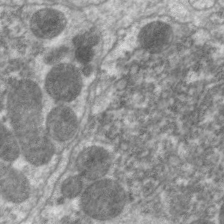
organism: C. elegans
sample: Pharynx